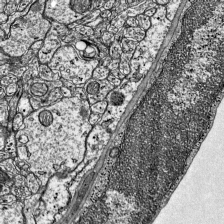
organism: Mouse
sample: Visual Cortex